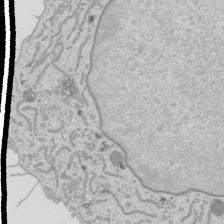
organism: Human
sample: Mitochondria in HCT116 cells